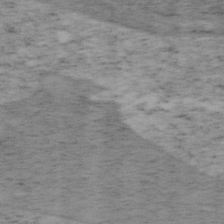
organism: Mouse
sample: OT-I killer T cells with ID8 ovarian cancer cells